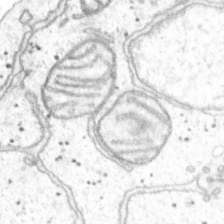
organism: Human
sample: HeLa cells